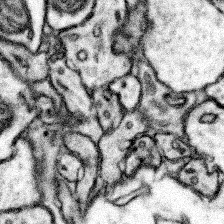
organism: Mouse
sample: Somatosensory cortex neuropil